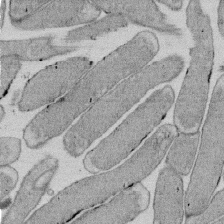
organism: E. coli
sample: Bacterial nucleoid